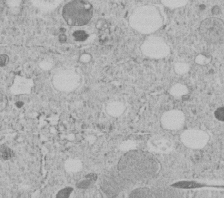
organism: C. elegans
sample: C. elegans embryo early stage